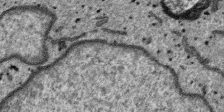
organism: Human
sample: Lung epithelial cells, uninfected (mock) control